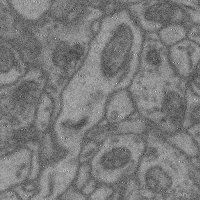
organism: Mouse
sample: Cerebral cortex